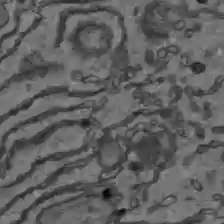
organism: C57BL Mouse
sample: Liver